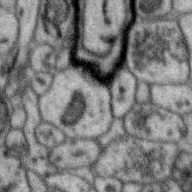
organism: Zebra finch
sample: Brain